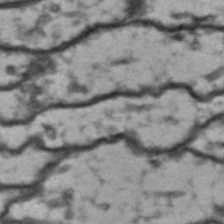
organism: Drosophila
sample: Brain